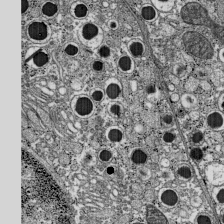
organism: C57BL Mouse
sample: Pancreatic islet